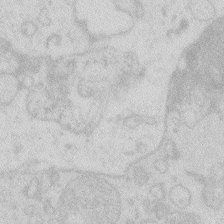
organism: Zebrafish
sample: Macrophage